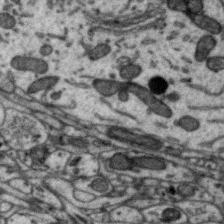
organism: Zebra finch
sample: Brain